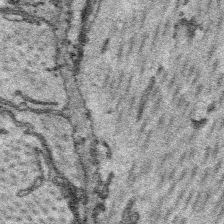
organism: Platynereis dumerilii